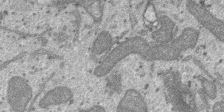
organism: Human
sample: Lung epithelial cells infected with SARS-CoV-2